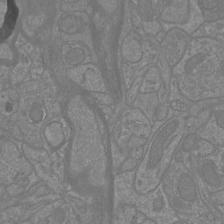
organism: Mouse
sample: Cortical neurons